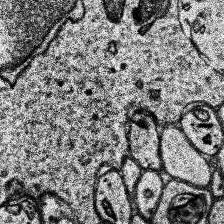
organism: Human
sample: Temporal Lobe